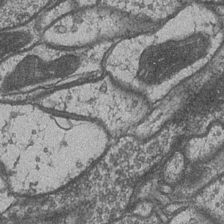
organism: Drosophila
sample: Optic medulla